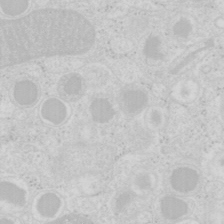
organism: Mouse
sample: Pancreas